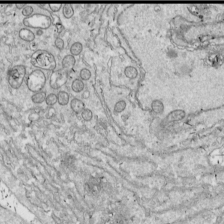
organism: Drosophila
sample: Cell division; meiosis; drosophila spermatocytes